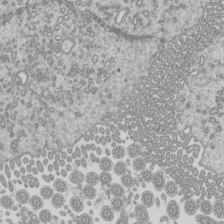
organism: Mouse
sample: Cilia; mouse epididymis